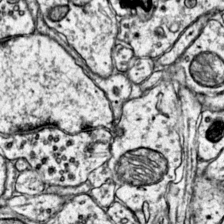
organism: Mouse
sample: Primary visual cortex